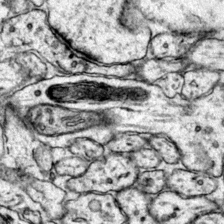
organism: Mouse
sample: Primary visual cortex